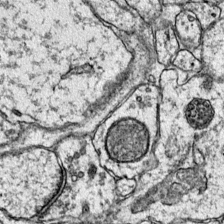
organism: Mouse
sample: Primary visual cortex